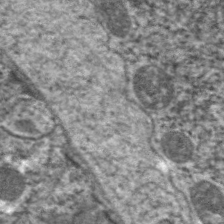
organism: C. elegans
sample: Pharynx